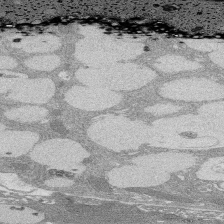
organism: Rat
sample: Salivary granule